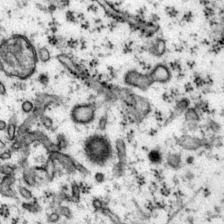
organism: Mouse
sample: Primary visual cortex